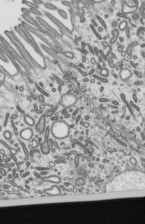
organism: Mouse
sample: Mouse epididymis efferent ductule cilia